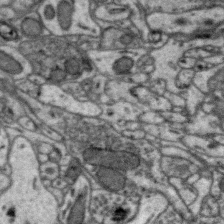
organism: Zebra finch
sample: Brain